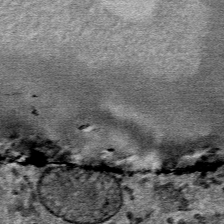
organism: Mouse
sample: Mouse Salivary gland